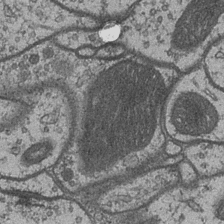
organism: Drosophila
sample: Optic medulla